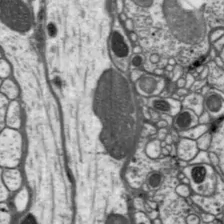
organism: Drosophila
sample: Protocerebral bridge